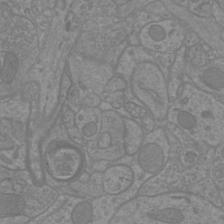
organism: Mouse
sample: Cortical neurons